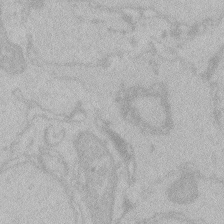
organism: Zebrafish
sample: Macrophage infected with Toxoplasma gondii